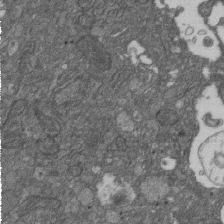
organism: Drosophila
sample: Nephrocyte